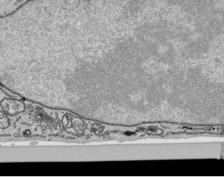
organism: Human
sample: Mitochondria in HCT116 cells